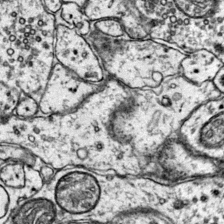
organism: Mouse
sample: Primary visual cortex